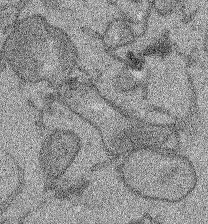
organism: Human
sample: HeLa cells